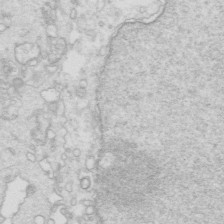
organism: Mouse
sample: Multiciliated cells